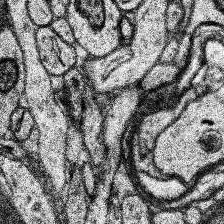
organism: Human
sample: Temporal Lobe